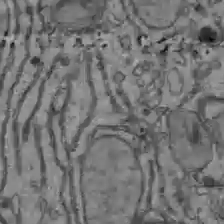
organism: C57BL Mouse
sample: Liver